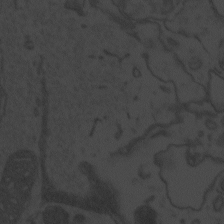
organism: Zebrafish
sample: Macrophage infected with Toxoplasma gondii